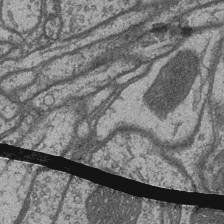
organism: Drosophila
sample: Optic medulla